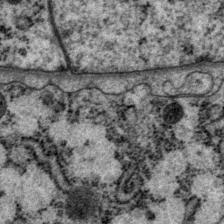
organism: P. pacificus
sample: Pharynx